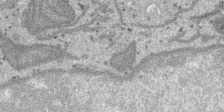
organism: Human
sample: Lung epithelial cells infected with SARS-CoV-2